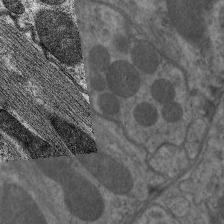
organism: C. elegans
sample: Pharynx